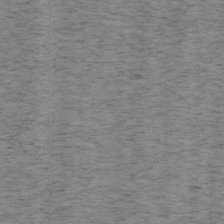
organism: Mouse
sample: OT-I killer T cells with ID8 ovarian cancer cells